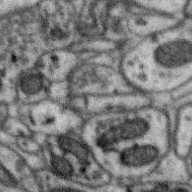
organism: Zebra finch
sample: Brain